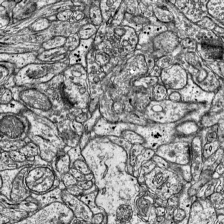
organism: Mouse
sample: Visual Cortex